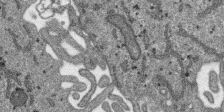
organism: Human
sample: Lung epithelial cells infected with SARS-CoV-2